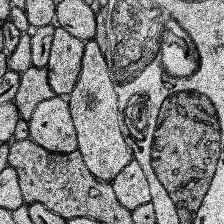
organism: Human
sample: Temporal Lobe